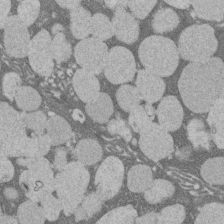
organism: Rat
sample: Salivary granule